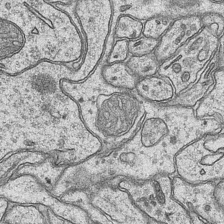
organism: Mouse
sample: CA1 Hippocampus